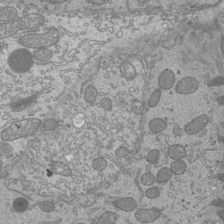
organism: Mouse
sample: Cilia; mouse epididymis